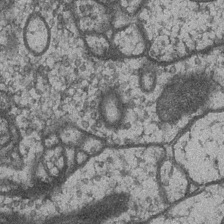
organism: Drosophila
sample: Optic medulla